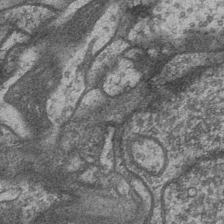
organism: Drosophila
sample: Optic medulla